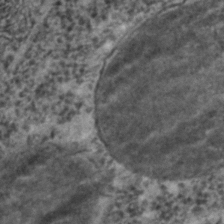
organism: C. elegans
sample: C. elegans embryo